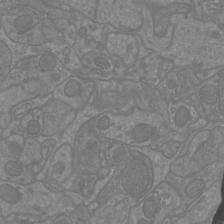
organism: Mouse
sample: Cortical neurons